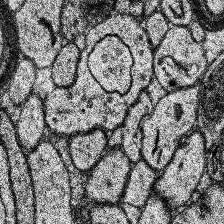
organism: Human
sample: Temporal Lobe